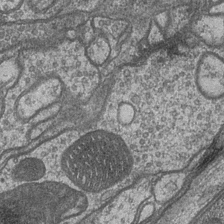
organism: Drosophila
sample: Optic medulla